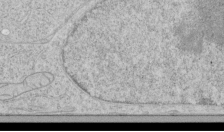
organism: Human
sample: Mitochondria in HCT116 cells